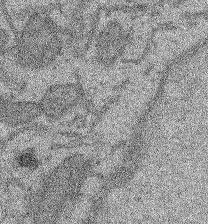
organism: Human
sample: HeLa cells